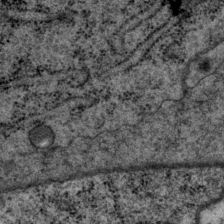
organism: P. pacificus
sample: Pharynx